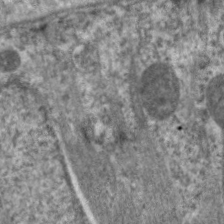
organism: C. elegans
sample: Pharynx